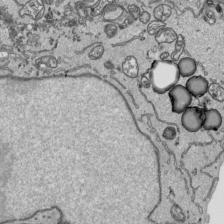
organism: Human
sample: Mitochondria in HCT116 cells